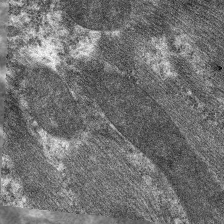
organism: C. elegans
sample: Pharynx